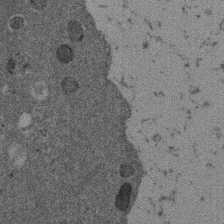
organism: Mouse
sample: Dividing mouse embryo 1 cell stage